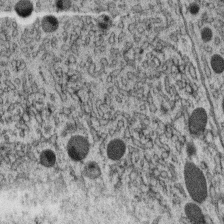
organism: C. elegans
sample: C. elegans oocyte; sperm cells